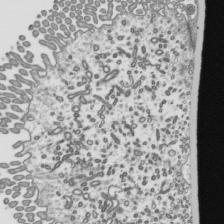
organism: Mouse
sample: Mouse epididymis efferent ductule cilia